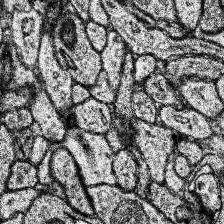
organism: Human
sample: Temporal Lobe